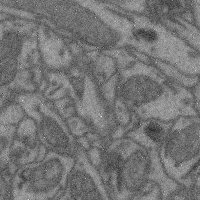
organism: Mouse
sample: Cerebral cortex